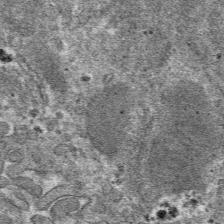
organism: Mouse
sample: Mouse hepatocytes